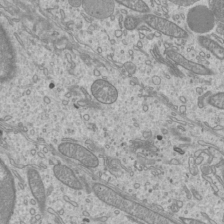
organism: Mouse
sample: Cilia; mouse epididymis